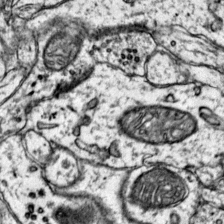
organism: Mouse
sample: Primary visual cortex